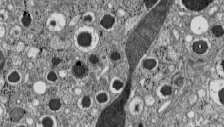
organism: C57BL Mouse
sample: Pancreatic islet